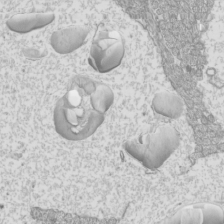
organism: Mouse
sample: Cilia; mouse epididymis